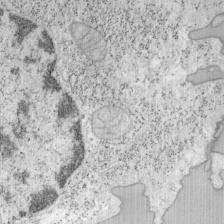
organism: Mouse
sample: OT-I killer T cells with ID8 ovarian cancer cells